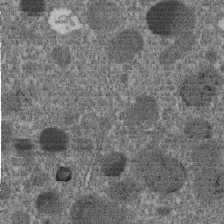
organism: C. elegans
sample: C. elegans embryo early stage